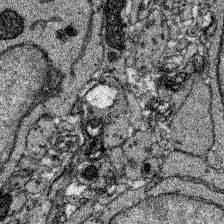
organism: Zebrafish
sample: Larval olfactory bulb